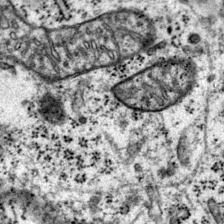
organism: Mouse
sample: Primary visual cortex